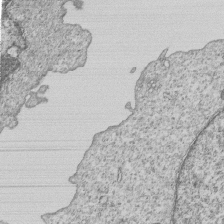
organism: Human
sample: MDA-MB-231 cells